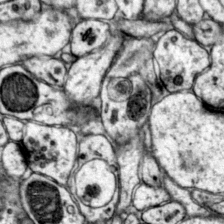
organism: Mouse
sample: Primary visual cortex